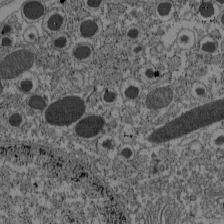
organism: C57BL Mouse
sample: Pancreatic islet